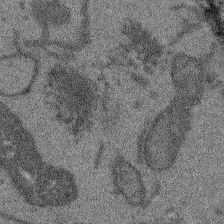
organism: Arabidopsis thaliana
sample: Root tip